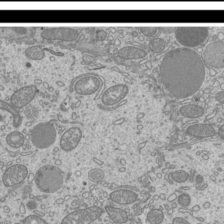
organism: Mouse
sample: Cilia; mouse epididymis